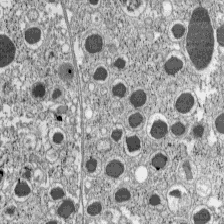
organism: C57BL Mouse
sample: Pancreatic islet